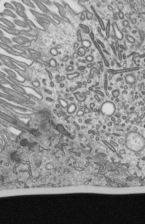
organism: Mouse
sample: Mouse epididymis efferent ductule cilia